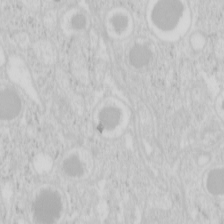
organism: Mouse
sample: Pancreas